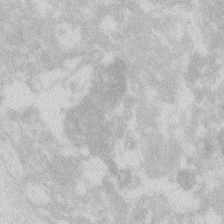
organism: Zebrafish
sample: Macrophage